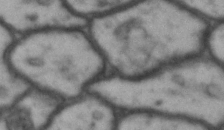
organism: Drosophila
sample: Brain